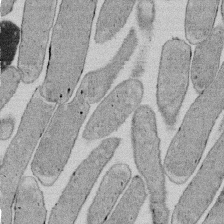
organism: E. coli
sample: Bacterial nucleoid